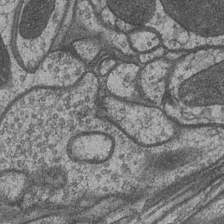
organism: Drosophila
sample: Optic medulla